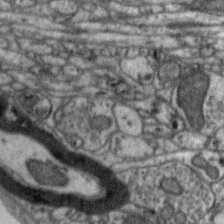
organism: Zebra finch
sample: Brain